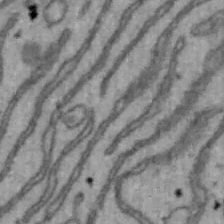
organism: Mouse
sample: Liver